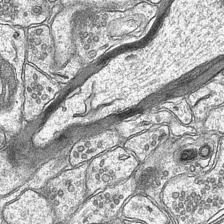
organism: Mouse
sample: CA1 Hippocampus